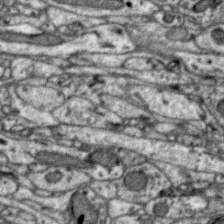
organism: Zebra finch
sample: Brain